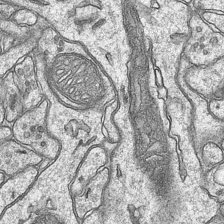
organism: Mouse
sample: CA1 Hippocampus